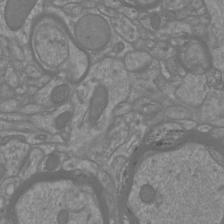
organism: Mouse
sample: Cortical neurons